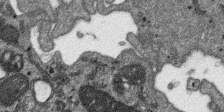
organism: Human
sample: Lung epithelial cells infected with SARS-CoV-2